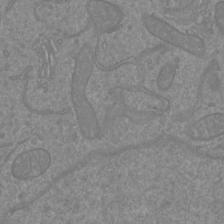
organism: Mouse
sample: Cortical neurons